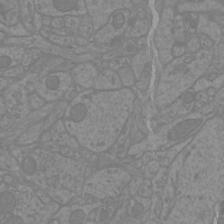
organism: Mouse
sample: Cortical neurons